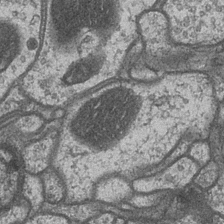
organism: Drosophila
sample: Optic medulla